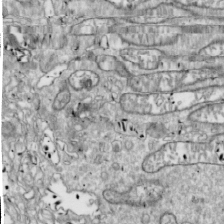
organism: Drosophila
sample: Cell division; meiosis; drosophila spermatocytes